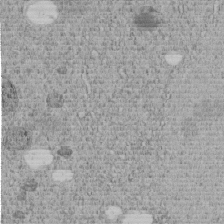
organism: C. elegans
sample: C. elegans embryo early stage